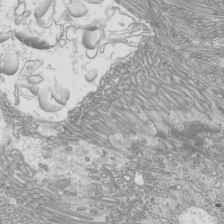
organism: Mouse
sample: Cilia; mouse epididymis